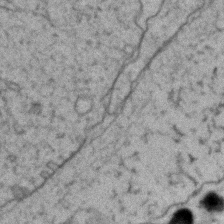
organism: Zebrafish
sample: Zebrafish embryo